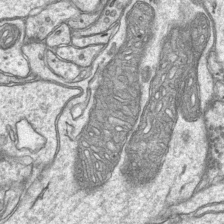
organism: Mouse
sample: CA1 Hippocampus